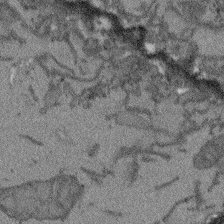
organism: Arabidopsis thaliana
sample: Root tip